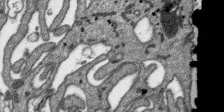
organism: Human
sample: Lung epithelial cells, uninfected (mock) control